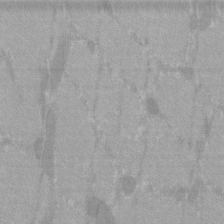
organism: C57BL Mouse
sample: Tibialis anterior muscle cell